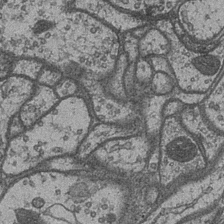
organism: Drosophila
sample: Optic medulla